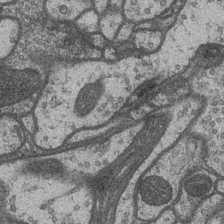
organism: Drosophila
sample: Optic medulla